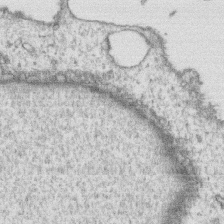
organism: Human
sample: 1205lu cells